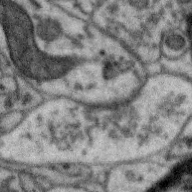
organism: Zebra finch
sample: Brain